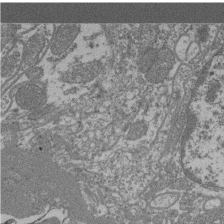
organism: Mouse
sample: Glomerulus